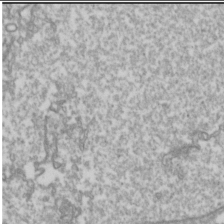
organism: Drosophila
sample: Cell division; meiosis; drosophila spermatocytes